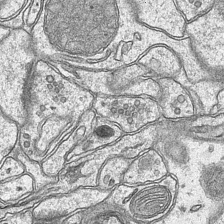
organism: Mouse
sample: CA1 Hippocampus